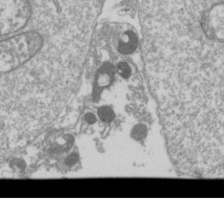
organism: Drosophila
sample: Cell division; meiosis; drosophila spermatocytes